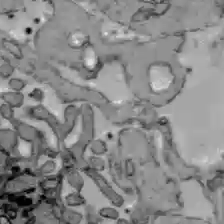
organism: C57BL Mouse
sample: Liver